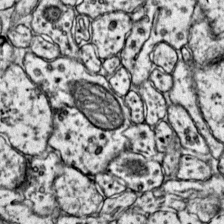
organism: Mouse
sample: Primary visual cortex